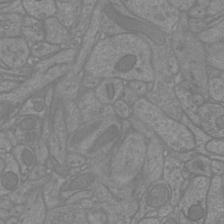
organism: Mouse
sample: Cortical neurons